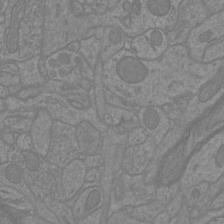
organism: Mouse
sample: Cortical neurons